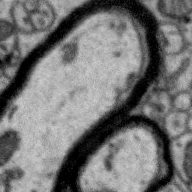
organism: Zebra finch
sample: Brain